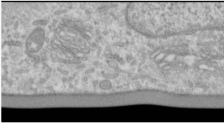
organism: Human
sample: Cilia; basal body in RPE cells